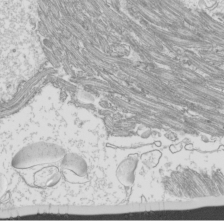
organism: Mouse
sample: Cilia; mouse epididymis